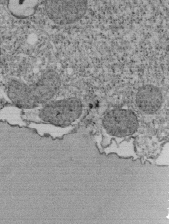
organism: Tetrahymena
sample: Cilia in tetrahymena